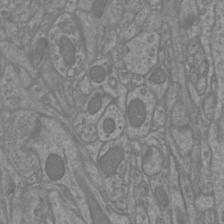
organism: Mouse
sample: Cortical neurons